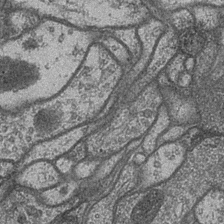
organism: Drosophila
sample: Optic medulla